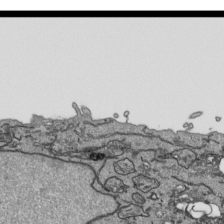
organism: Human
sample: Mitochondria in HCT116 cells